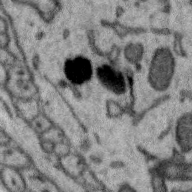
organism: Zebra finch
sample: Brain